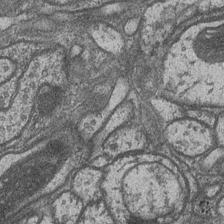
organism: Drosophila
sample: Optic medulla